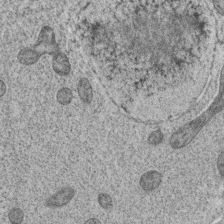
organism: C. elegans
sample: C. elegans oocyte; sperm cells